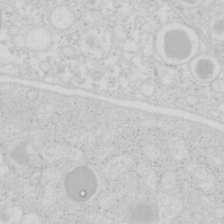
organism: Mouse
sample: Pancreas